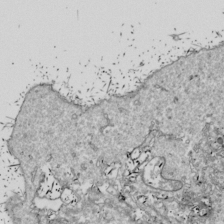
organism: Drosophila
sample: Cell division; meiosis; drosophila spermatocytes